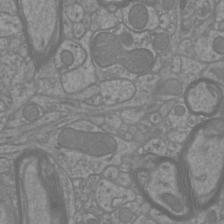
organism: Mouse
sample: Cortical neurons